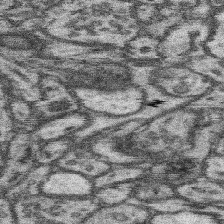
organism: Mouse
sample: Somatosensory cortex neuropil